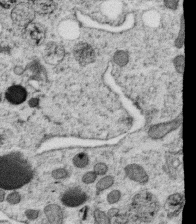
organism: C. elegans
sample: C. elegans oocyte; sperm cells